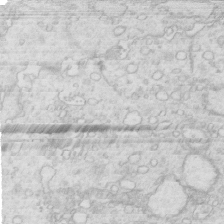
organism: Mouse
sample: Multiciliated cells